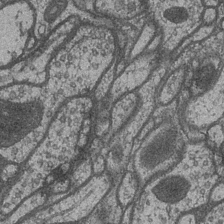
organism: Drosophila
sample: Optic medulla